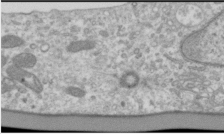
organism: Human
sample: Cilia; basal body in RPE cells